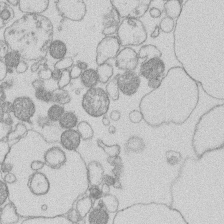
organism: Human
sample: Macrophage cells